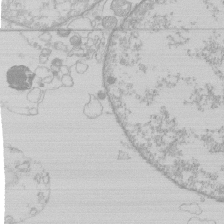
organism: Human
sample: Macrophage cells